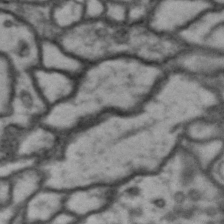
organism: Drosophila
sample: Brain